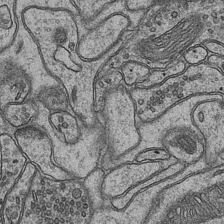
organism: Mouse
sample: CA1 Hippocampus